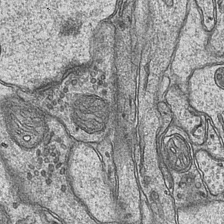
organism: Mouse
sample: CA1 Hippocampus